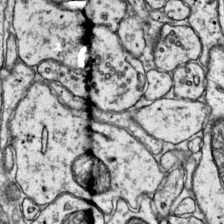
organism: Mouse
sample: Primary visual cortex